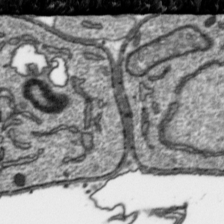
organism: Toxoplasma gondii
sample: Parasites in a vacuole inside a host cell